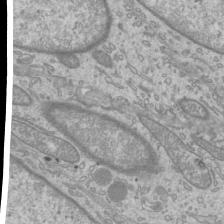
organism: Mouse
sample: Cilia; mouse epididymis